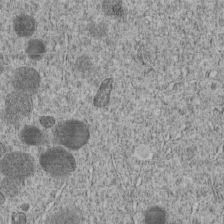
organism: C. elegans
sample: C. elegans embryo early stage